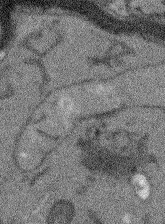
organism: Arabidopsis thaliana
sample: Root tip